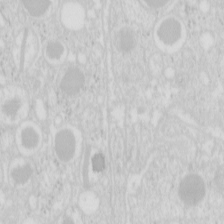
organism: Mouse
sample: Pancreas